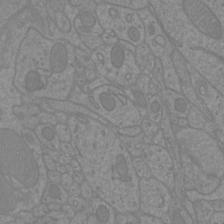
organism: Mouse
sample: Cortical neurons